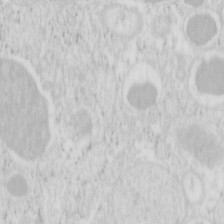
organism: Mouse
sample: Pancreas